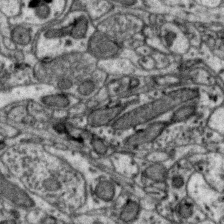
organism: Zebra finch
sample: Brain